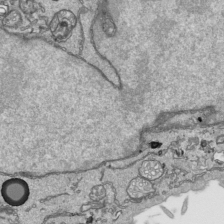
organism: Human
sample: Mitochondria in HCT116 cells